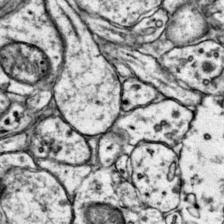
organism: Mouse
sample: Primary visual cortex